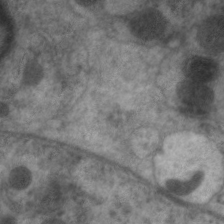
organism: C. elegans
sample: Pharynx